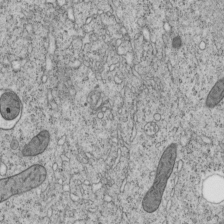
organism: C. elegans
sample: C. elegans embryo early stage